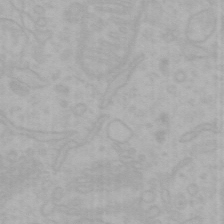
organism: Mouse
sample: Choroid plexus